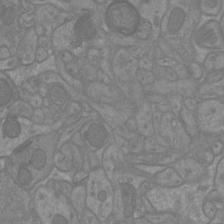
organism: Mouse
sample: Cortical neurons